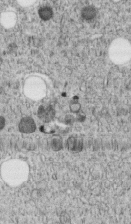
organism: C. elegans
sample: C. elegans embryo early stage